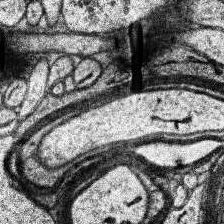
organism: Human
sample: Temporal Lobe